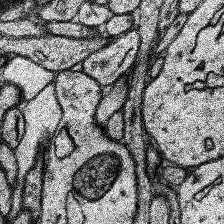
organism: Human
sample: Temporal Lobe